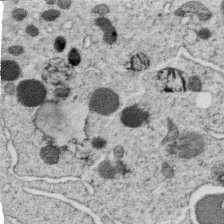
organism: C. elegans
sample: C. elegans oocyte; sperm cells